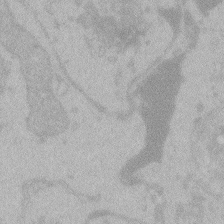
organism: Zebrafish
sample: Macrophage infected with Toxoplasma gondii